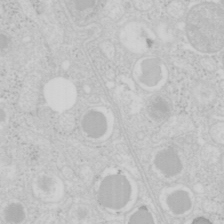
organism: Mouse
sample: Pancreas